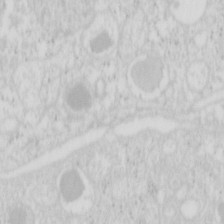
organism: Mouse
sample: Pancreas